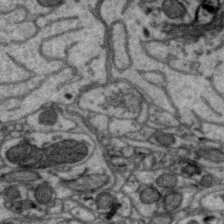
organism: Zebra finch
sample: Brain